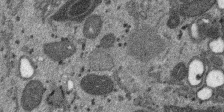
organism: Human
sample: Lung epithelial cells infected with SARS-CoV-2